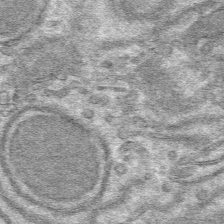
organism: Mouse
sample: Mouse hepatocytes